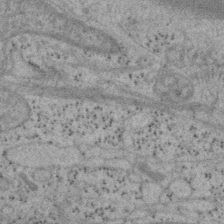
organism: Human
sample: HeLa cells